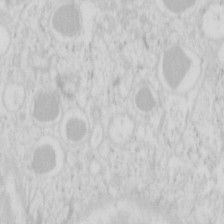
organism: Mouse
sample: Pancreas